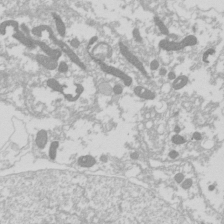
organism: Drosophila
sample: Cell division; meiosis; drosophila spermatocytes